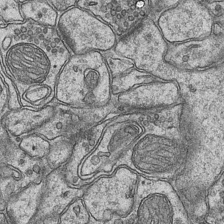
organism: Mouse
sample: CA1 Hippocampus